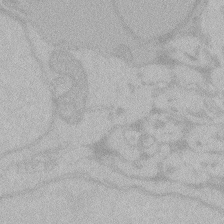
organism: Zebrafish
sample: Macrophage infected with Toxoplasma gondii